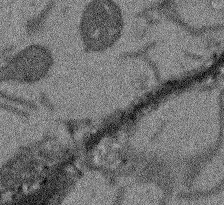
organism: Arabidopsis thaliana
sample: Root tip